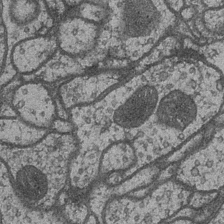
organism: Drosophila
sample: Optic medulla